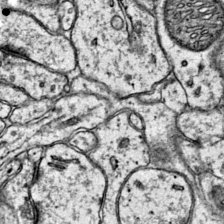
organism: Mouse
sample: Primary visual cortex